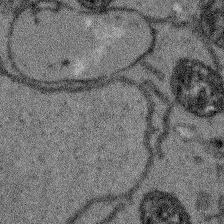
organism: Arabidopsis thaliana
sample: Root tip